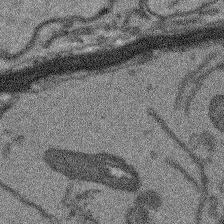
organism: Arabidopsis thaliana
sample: Root tip